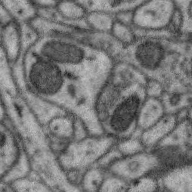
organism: Zebra finch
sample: Brain